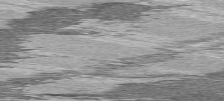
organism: C57BL Mouse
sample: Heart